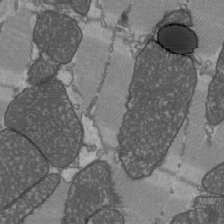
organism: C57BL Mouse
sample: Heart